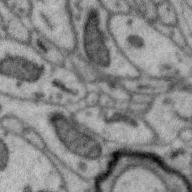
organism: Zebra finch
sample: Brain